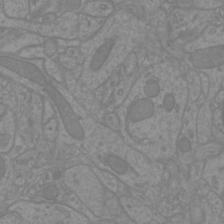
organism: Mouse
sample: Cortical neurons